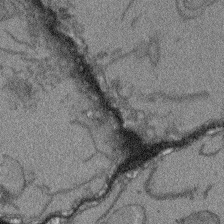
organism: Arabidopsis thaliana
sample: Root tip